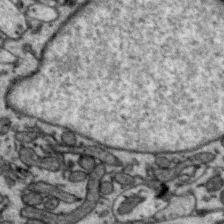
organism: Zebra finch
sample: Brain